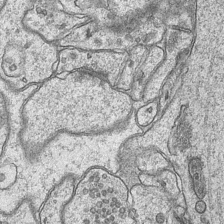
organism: Mouse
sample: CA1 Hippocampus